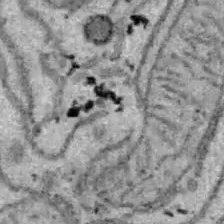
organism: Mouse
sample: Liver from an obese (ob/ob) mouse